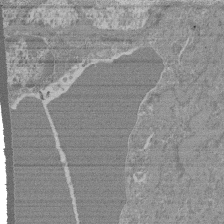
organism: Mouse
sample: Glomerulus